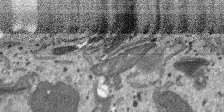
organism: Human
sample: Lung epithelial cells infected with SARS-CoV-2